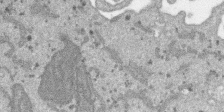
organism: Human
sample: Lung epithelial cells infected with SARS-CoV-2